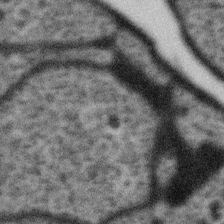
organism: Gemmata obscuriglobus